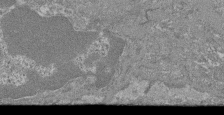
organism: Mouse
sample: Glomerulus